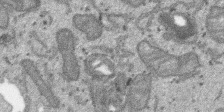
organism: Human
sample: Lung epithelial cells infected with SARS-CoV-2